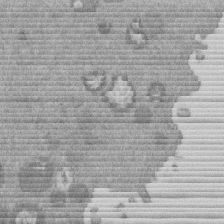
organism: Mouse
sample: Dividing mouse embryo 1 cell stage